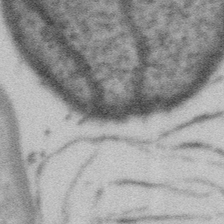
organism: Gemmata obscuriglobus